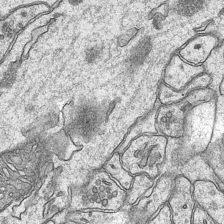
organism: Mouse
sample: CA1 Hippocampus